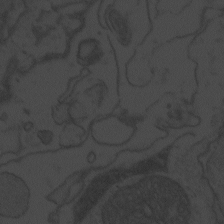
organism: Zebrafish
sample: Macrophage infected with Toxoplasma gondii